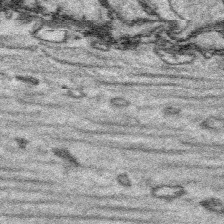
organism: Platynereis dumerilii